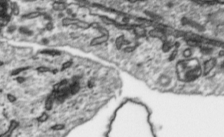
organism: Toxoplasma gondii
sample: Parasites in a vacuole inside a host cell